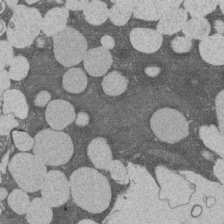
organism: Rat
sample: Salivary granule